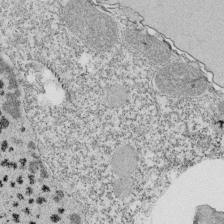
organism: Tetrahymena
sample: Cilia in tetrahymena